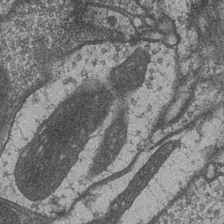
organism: Drosophila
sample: Optic medulla